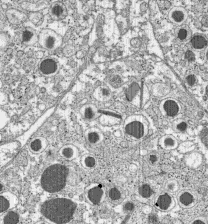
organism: C57BL Mouse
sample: Pancreatic islet